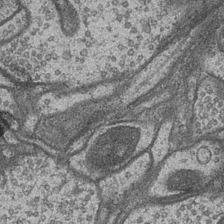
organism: Drosophila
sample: Optic medulla